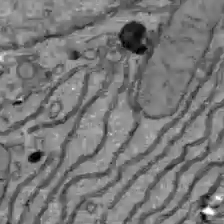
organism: C57BL Mouse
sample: Liver